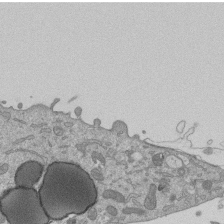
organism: Mouse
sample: ED-1 cell nuclei; centrioles